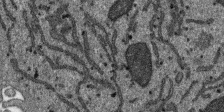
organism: Human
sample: Lung epithelial cells infected with SARS-CoV-2